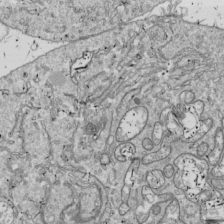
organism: Drosophila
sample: Cell division; meiosis; drosophila spermatocytes